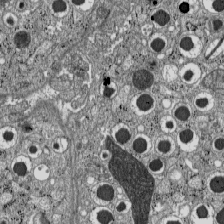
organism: C57BL Mouse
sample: Pancreatic islet